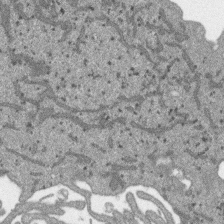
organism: Human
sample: Lung epithelial cells infected with SARS-CoV-2